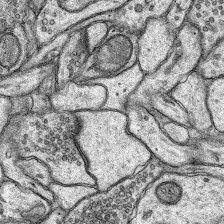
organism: Rat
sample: Hippocampus